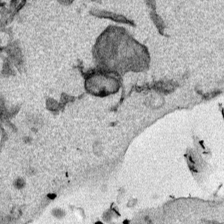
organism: Mouse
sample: Cancer cell death in ED-1 cells